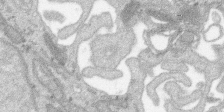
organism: Human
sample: Lung epithelial cells infected with SARS-CoV-2